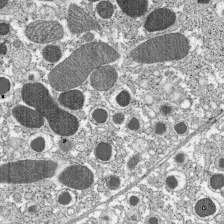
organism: C57BL Mouse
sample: Pancreatic islet